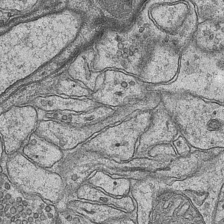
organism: Mouse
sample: CA1 Hippocampus